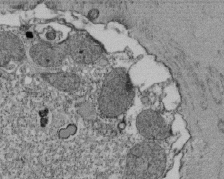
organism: Tetrahymena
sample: Cilia in tetrahymena